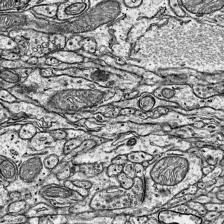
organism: Mouse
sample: Visual Cortex